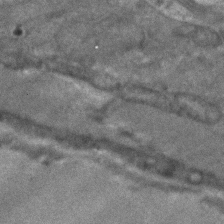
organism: C. elegans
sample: C. elegans embryo